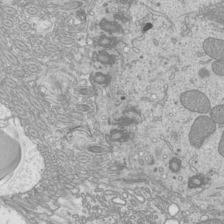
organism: Mouse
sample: Cilia; mouse epididymis